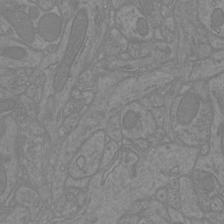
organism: Mouse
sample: Cortical neurons